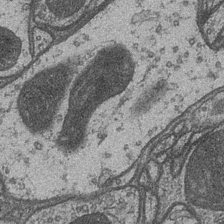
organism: Drosophila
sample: Optic medulla